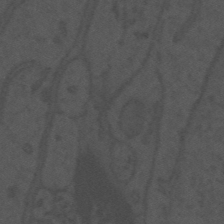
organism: Mouse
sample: Suprachiasmatic nucleus